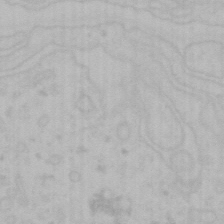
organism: Mouse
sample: Choroid plexus